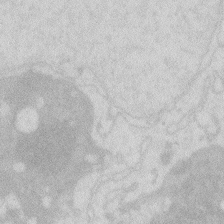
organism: Zebrafish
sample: Macrophage